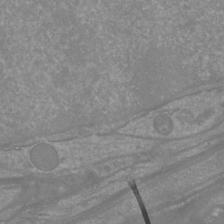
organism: Mouse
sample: Cortical neurons